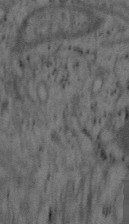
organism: Human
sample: HeLa cells